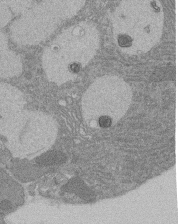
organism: Rat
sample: Salivary granule